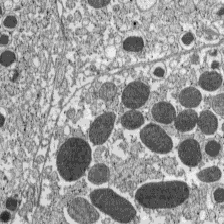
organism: C57BL Mouse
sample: Pancreatic islet